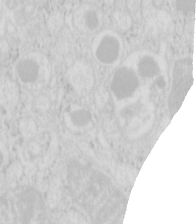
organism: Mouse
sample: Pancreas